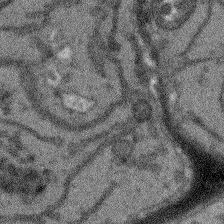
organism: Arabidopsis thaliana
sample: Root tip